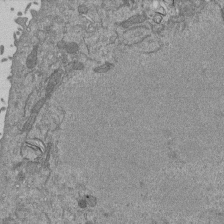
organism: Mouse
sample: ED-1 cell nuclei; centrioles